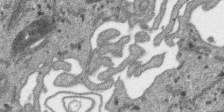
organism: Human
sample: Lung epithelial cells infected with SARS-CoV-2